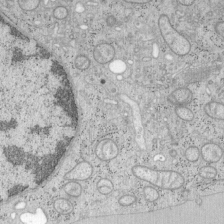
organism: Mouse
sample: OT-I killer T cells with ID8 ovarian cancer cells